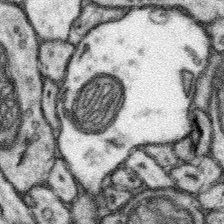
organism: Mouse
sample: Somatosensory cortex neuropil